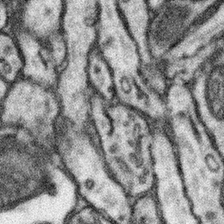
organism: Mouse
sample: Somatosensory cortex neuropil